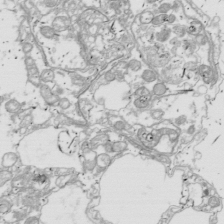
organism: Drosophila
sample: Cell division; meiosis; drosophila spermatocytes